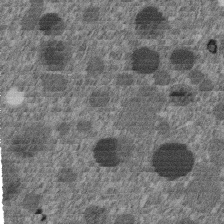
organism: C. elegans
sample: C. elegans embryo early stage